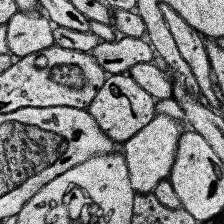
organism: Human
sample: Temporal Lobe